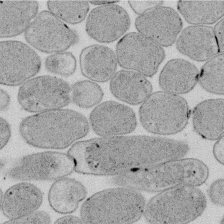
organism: E. coli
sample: Bacterial nucleoid